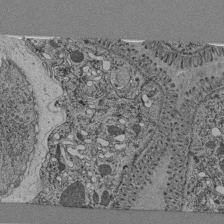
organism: C. elegans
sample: C. elegans pharynx